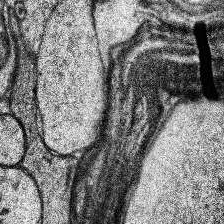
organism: Human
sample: Temporal Lobe